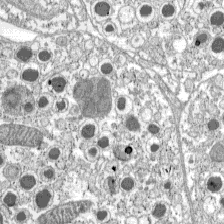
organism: C57BL Mouse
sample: Pancreatic islet